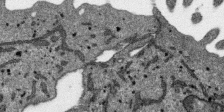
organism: Human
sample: Lung epithelial cells, uninfected (mock) control